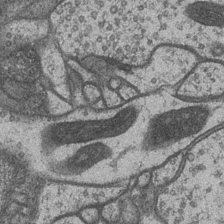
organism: Drosophila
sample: Optic medulla